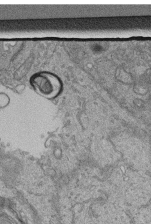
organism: Human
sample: Retinal organoid Rod and Cone cells